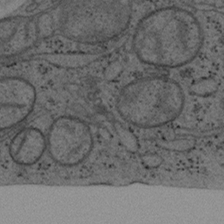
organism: Human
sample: HeLa cells